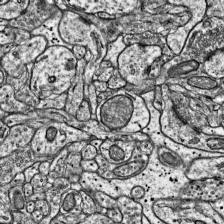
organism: Mouse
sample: Visual Cortex